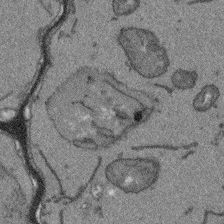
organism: Arabidopsis thaliana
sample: Root tip